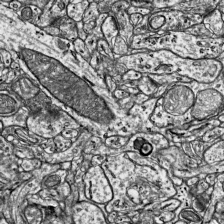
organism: Mouse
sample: Visual Cortex